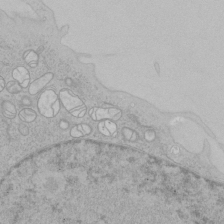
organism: Human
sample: Mitochondria in HCT116 cells